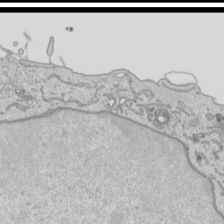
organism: Human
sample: Mitochondria in HCT116 cells